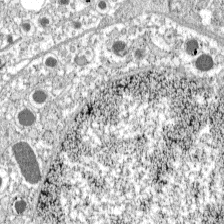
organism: C57BL Mouse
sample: Pancreatic islet